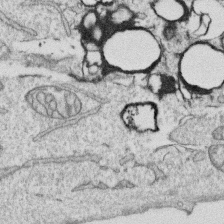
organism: Human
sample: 1205lu cells